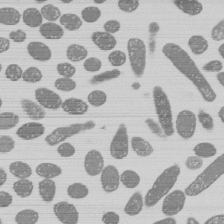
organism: E. coli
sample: Bacterial nucleoid